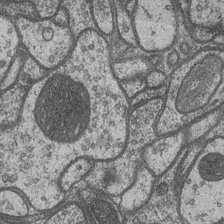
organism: Drosophila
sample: Optic medulla